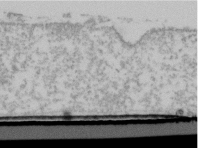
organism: Human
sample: U2-OS cells